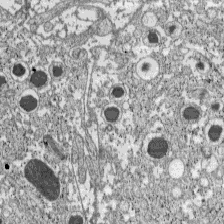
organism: C57BL Mouse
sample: Pancreatic islet